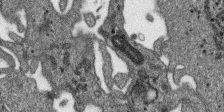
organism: Human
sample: Lung epithelial cells infected with SARS-CoV-2